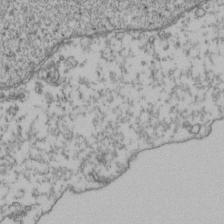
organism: Human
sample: Activated Jurkat CD4+ T cells